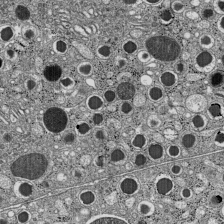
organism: C57BL Mouse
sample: Pancreatic islet